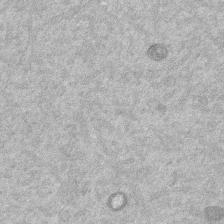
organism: Mouse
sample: Dividing mouse embryo 1 cell stage